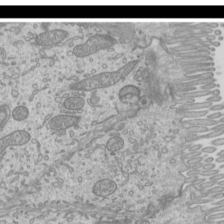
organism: Mouse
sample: Cilia; mouse epididymis